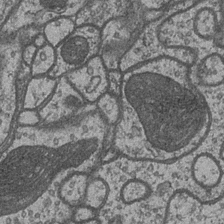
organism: Drosophila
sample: Optic medulla